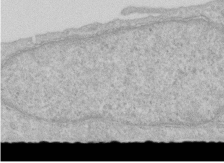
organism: Human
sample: Centriole in RPE cells